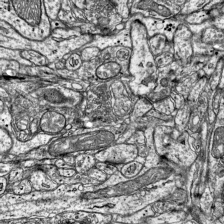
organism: Mouse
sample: Visual Cortex